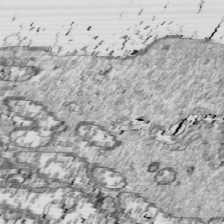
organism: Drosophila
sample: Cell division; meiosis; drosophila spermatocytes